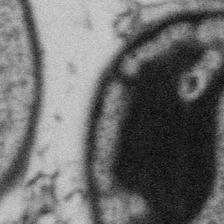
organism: Gemmata obscuriglobus